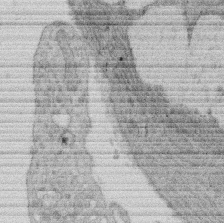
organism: Rat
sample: Salivary granule